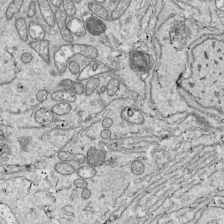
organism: Drosophila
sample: Cell division; meiosis; drosophila spermatocytes